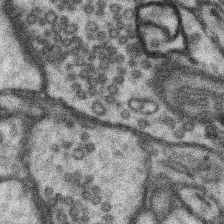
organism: Mouse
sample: Somatosensory cortex neuropil